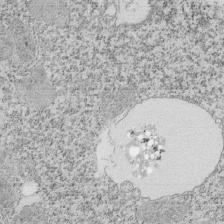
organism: Tetrahymena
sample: Cilia in tetrahymena